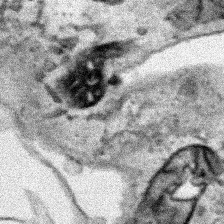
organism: Human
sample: Mitochondria in HCT116 cells